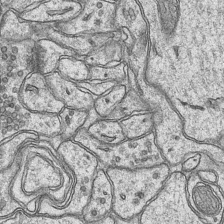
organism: Mouse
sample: CA1 Hippocampus